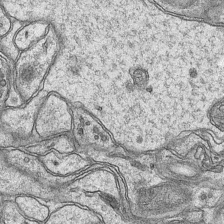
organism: Mouse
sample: CA1 Hippocampus